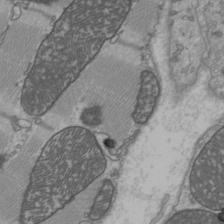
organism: C57BL Mouse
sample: Heart